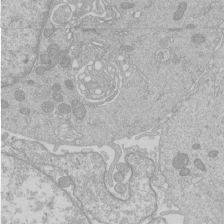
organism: Human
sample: Macrophage cells